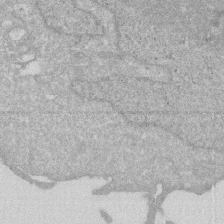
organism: Human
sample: HIV infected U937 cells